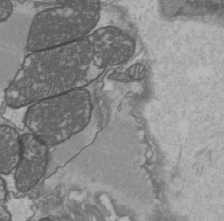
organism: C57BL Mouse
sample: Heart